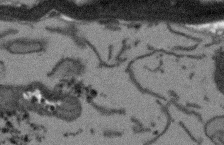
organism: Arabidopsis thaliana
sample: Root tip